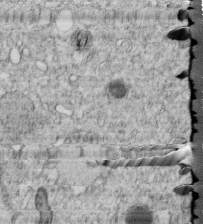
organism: C. elegans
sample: C. elegans embryo early stage